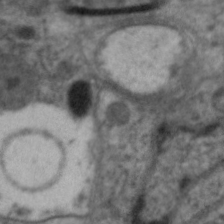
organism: C. elegans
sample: Pharynx